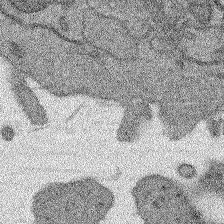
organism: Human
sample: HeLa cells